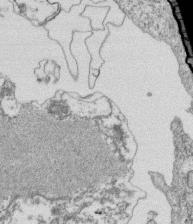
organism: Human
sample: HeLa cell HIV synapse